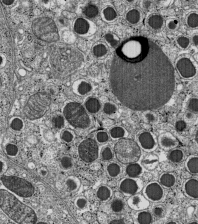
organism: C57BL Mouse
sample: Pancreatic islet